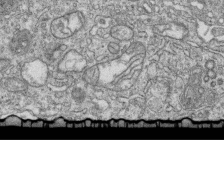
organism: Human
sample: HeLa cell HIV synapse